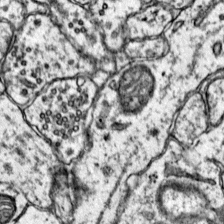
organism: Mouse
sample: Primary visual cortex